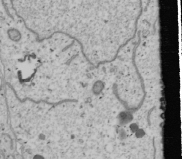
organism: Human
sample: Mitochondria in U2OS cells